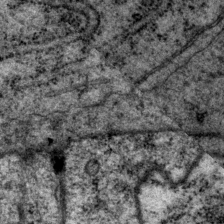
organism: P. pacificus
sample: Pharynx